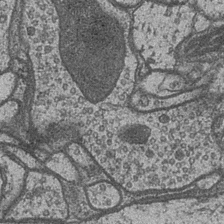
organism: Drosophila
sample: Optic medulla